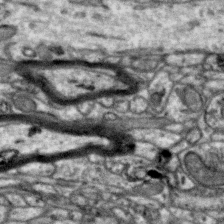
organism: Zebra finch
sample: Brain